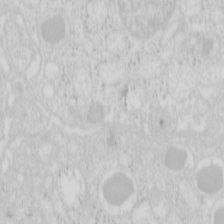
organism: Mouse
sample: Pancreas